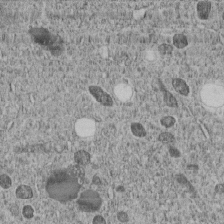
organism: C. elegans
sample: C. elegans embryo early stage